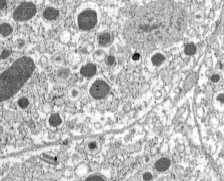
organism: C57BL Mouse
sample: Pancreatic islet